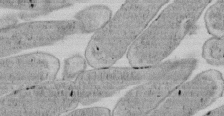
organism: E. coli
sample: Bacterial nucleoid